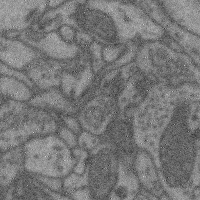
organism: Mouse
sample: Cerebral cortex